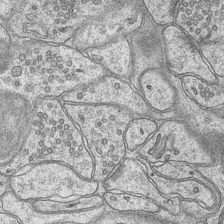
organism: Mouse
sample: CA1 Hippocampus